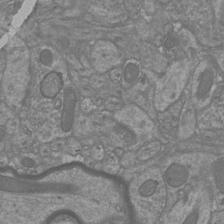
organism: Mouse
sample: Cortical neurons